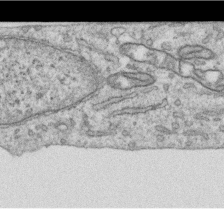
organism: Human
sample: Centriole in RPE cells